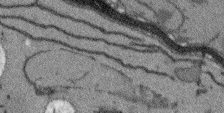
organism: Arabidopsis thaliana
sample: Root tip